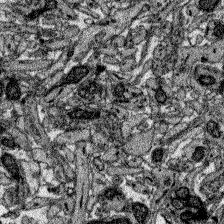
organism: Zebrafish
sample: Larval olfactory bulb